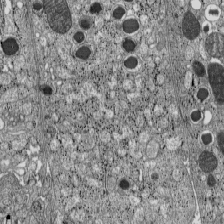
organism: C57BL Mouse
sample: Pancreatic islet